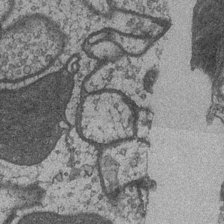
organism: Drosophila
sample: Optic medulla